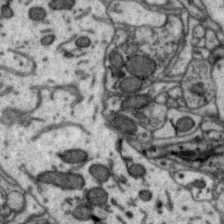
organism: Zebra finch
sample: Brain